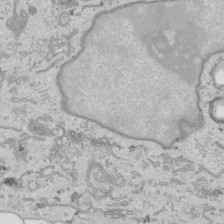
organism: Human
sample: Mitochondria in HCT116 cells